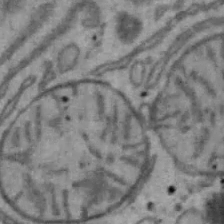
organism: Mouse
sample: Liver